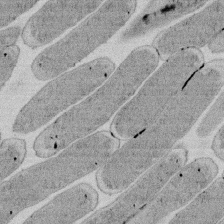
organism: E. coli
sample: Bacterial nucleoid